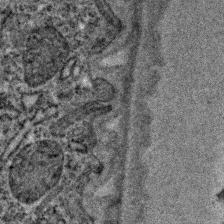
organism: C. elegans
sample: C. elegans embryo